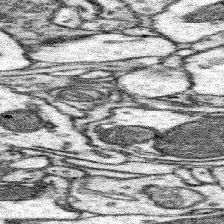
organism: Mouse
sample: Somatosensory cortex neuropil